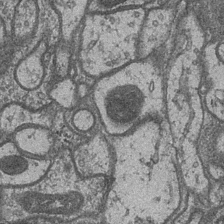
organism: Drosophila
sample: Optic medulla